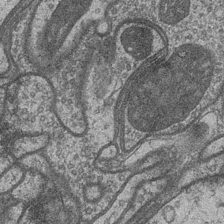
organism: Drosophila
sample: Optic medulla